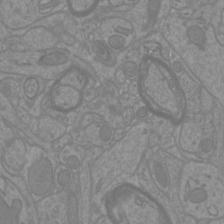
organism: Mouse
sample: Cortical neurons